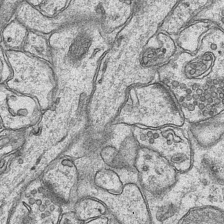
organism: Mouse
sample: CA1 Hippocampus